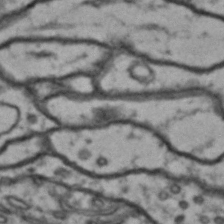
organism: Drosophila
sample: Brain